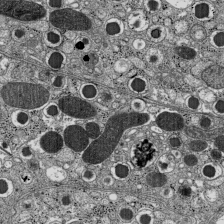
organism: C57BL Mouse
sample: Pancreatic islet